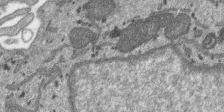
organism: Human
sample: Lung epithelial cells infected with SARS-CoV-2